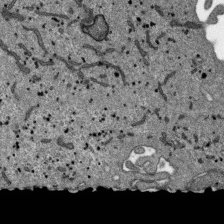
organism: Human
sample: Lung epithelial cells, uninfected (mock) control